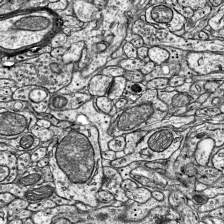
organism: Mouse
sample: Visual Cortex